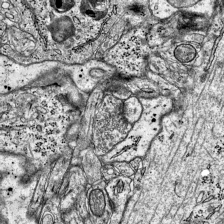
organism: Mouse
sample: Visual Cortex